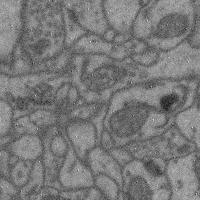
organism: Mouse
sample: Cerebral cortex